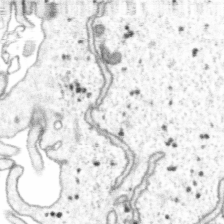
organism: Human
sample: HeLa cells